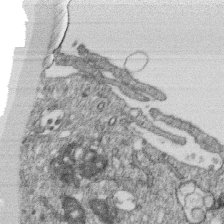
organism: African green monkey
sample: Vero E6 cells infected with SARS-CoV-2